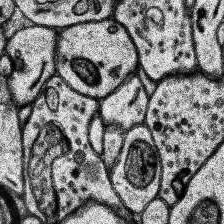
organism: Human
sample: Temporal Lobe